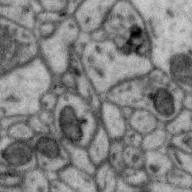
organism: Zebra finch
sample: Brain